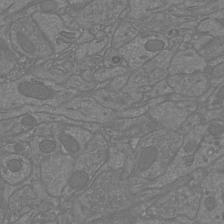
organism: Mouse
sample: Cortical neurons